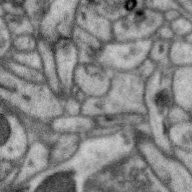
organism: Zebra finch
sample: Brain